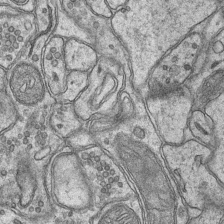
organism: Mouse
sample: CA1 Hippocampus